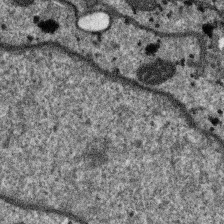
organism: Human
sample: Lung epithelial cells infected with SARS-CoV-2